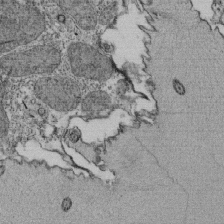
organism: Tetrahymena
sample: Cilia in tetrahymena